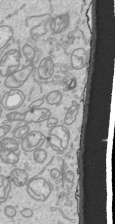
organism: Human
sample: Mitochondria in HCT116 cells